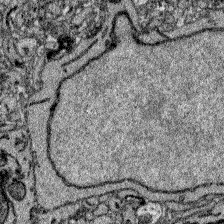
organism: Zebrafish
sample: Larval olfactory bulb